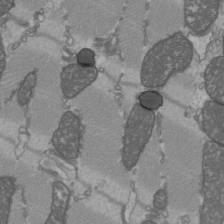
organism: C57BL Mouse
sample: Heart